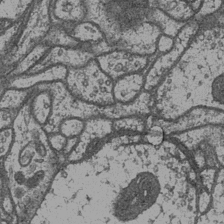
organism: Drosophila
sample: Optic medulla